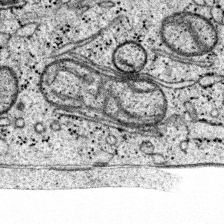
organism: Human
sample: HeLa cells